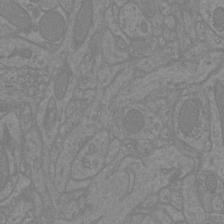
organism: Mouse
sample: Cortical neurons